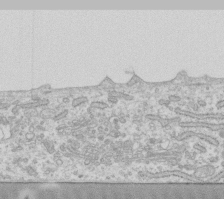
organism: Human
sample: Fibroblast cells